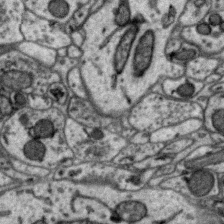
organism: Zebra finch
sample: Brain